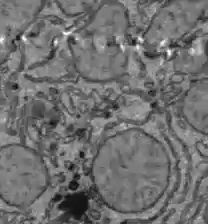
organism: C57BL Mouse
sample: Liver